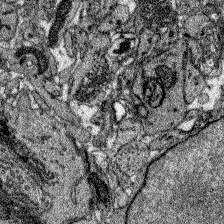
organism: Zebrafish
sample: Larval olfactory bulb